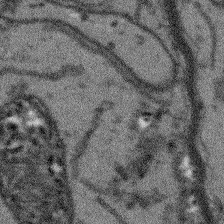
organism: Arabidopsis thaliana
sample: Root tip